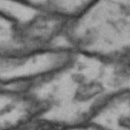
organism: Drosophila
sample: Brain